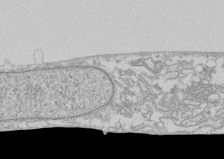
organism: Human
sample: CRL-1474